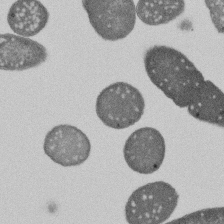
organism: E. coli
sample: Bacterial nucleoid